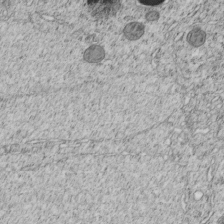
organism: C. elegans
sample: C. elegans embryo early stage